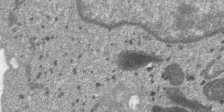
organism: Human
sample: Lung epithelial cells infected with SARS-CoV-2